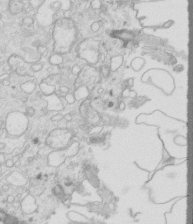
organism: Mouse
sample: Multiciliated cells